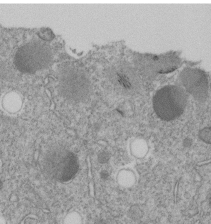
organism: C. elegans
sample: C. elegans embryo early stage